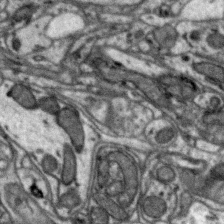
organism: Zebra finch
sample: Brain